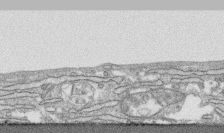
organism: Human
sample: CRL-1474